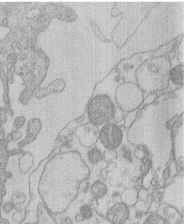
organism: Human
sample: Macrophage cells